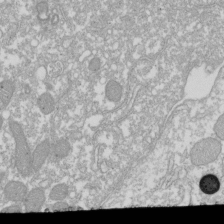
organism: Xenopus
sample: Cilia; centrioles in frog embryo cells